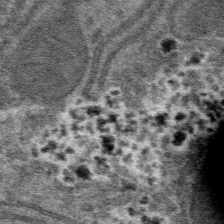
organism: Mouse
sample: Mouse hepatocytes